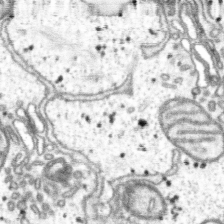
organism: Human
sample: HeLa cells